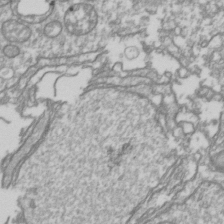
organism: Drosophila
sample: Cell division; meiosis; drosophila spermatocytes